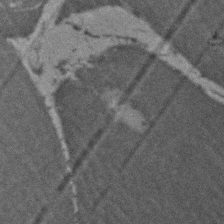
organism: Zebrafish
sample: Zebrafish embryo